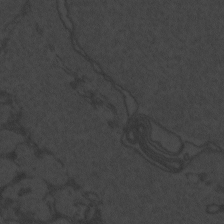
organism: Zebrafish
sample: Macrophage infected with Toxoplasma gondii